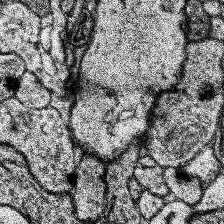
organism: Human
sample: Temporal Lobe